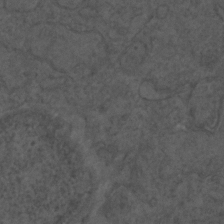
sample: Trachea